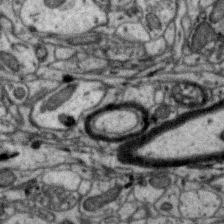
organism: Zebra finch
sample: Brain